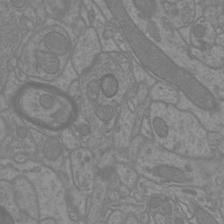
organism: Mouse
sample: Cortical neurons